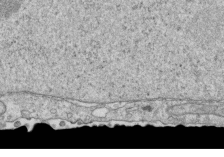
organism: Human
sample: HeLa cell HIV synapse